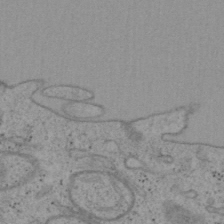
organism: Human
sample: HeLa cells